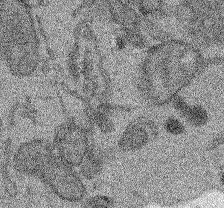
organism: Human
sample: HeLa cells